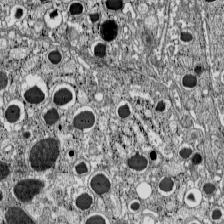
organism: C57BL Mouse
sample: Pancreatic islet